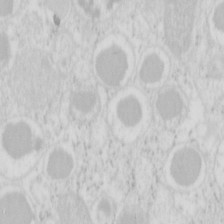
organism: Mouse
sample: Pancreas